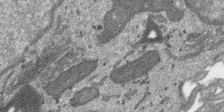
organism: Human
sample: Lung epithelial cells infected with SARS-CoV-2